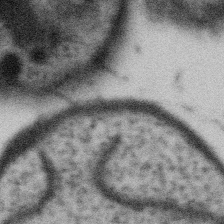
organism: Gemmata obscuriglobus